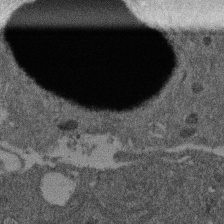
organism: Mouse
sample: Dividing mouse embryo 1 cell stage